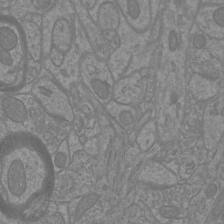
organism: Mouse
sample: Cortical neurons